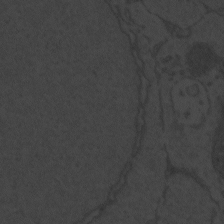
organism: Zebrafish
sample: Macrophage infected with Toxoplasma gondii